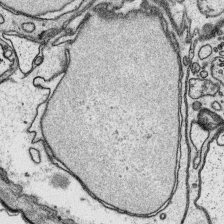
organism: Platynereis dumerilii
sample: Parapodia